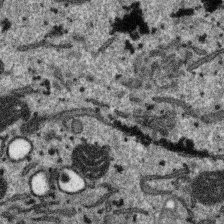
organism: Human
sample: Lung epithelial cells infected with SARS-CoV-2